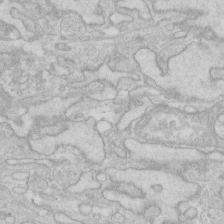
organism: Human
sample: Fibroblast cells